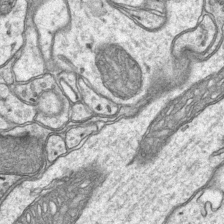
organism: Mouse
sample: CA1 Hippocampus